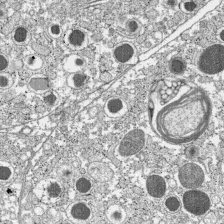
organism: C57BL Mouse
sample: Pancreatic islet